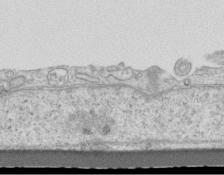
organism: Mouse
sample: Centriole in ependymal cells